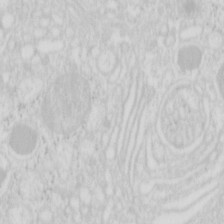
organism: Mouse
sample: Pancreas